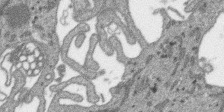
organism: Human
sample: Lung epithelial cells infected with SARS-CoV-2